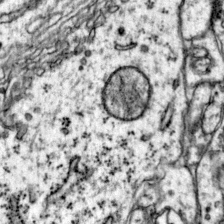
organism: Mouse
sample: Primary visual cortex